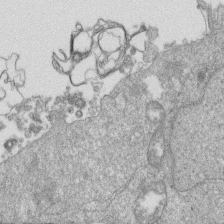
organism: Human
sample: HeLa cell HIV synapse